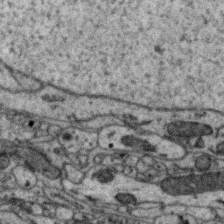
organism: Zebra finch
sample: Brain